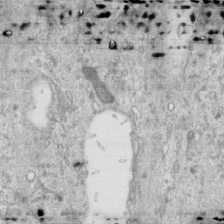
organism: Human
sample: Centriole in RPE cells